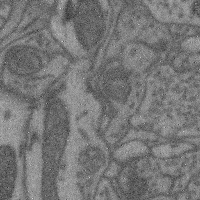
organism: Mouse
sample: Cerebral cortex